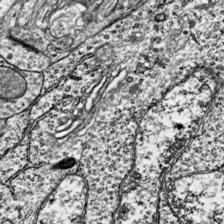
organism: Mouse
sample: Visual Cortex